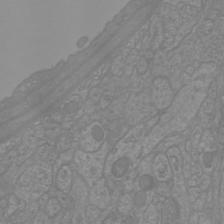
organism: Mouse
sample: Cortical neurons